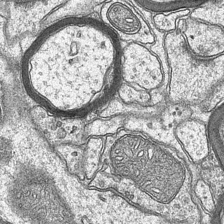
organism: Mouse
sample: CA1 Hippocampus